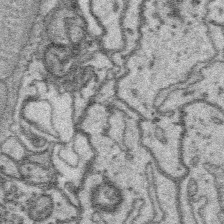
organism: Platynereis dumerilii